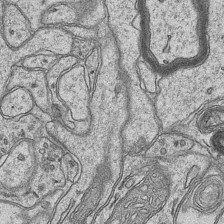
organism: Mouse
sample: CA1 Hippocampus